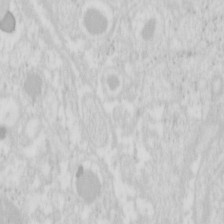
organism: Mouse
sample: Pancreas